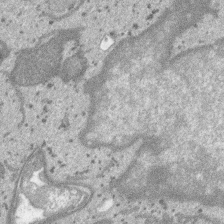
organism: Human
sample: Lung epithelial cells infected with SARS-CoV-2